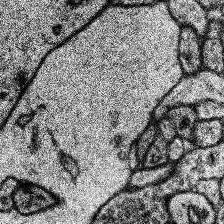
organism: Human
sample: Temporal Lobe